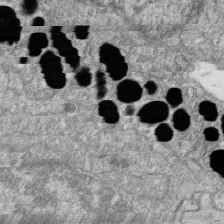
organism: Zebrafish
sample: Cilia; retinal pigment epithelium